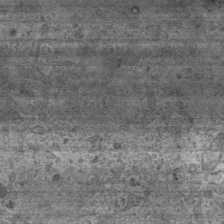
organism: Mouse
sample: Centriole in ependymal cells